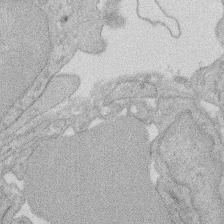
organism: Rat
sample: Salivary granule